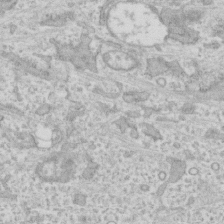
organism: Human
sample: CRL-1474